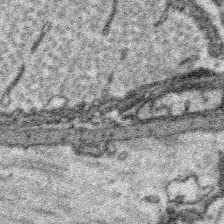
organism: Platynereis dumerilii